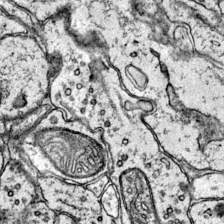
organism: Mouse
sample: Primary visual cortex